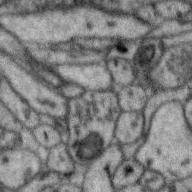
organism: Zebra finch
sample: Brain